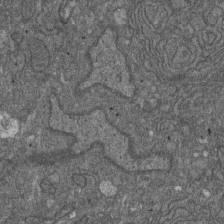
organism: Drosophila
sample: Nephrocyte